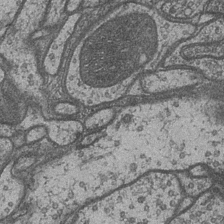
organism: Drosophila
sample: Optic medulla